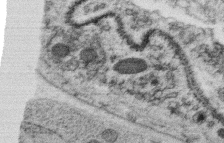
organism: C. elegans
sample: C. elegans oocyte; sperm cells